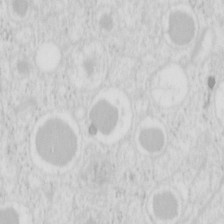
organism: Mouse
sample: Pancreas